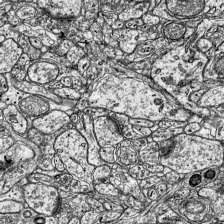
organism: Mouse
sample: Visual Cortex